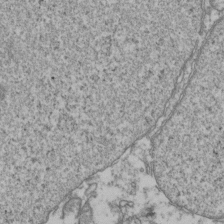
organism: Human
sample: Activated Jurkat CD4+ T cells